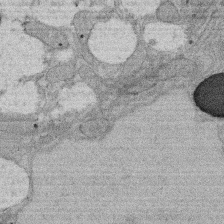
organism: Rat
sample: Salivary granule